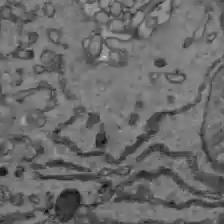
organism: C57BL Mouse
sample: Liver